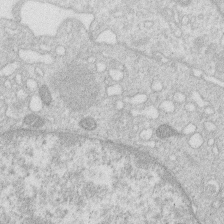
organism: Human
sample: Macrophage cells